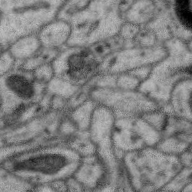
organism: Zebra finch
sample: Brain